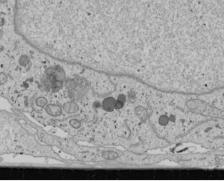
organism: Human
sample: Mitochondria in U2OS cells